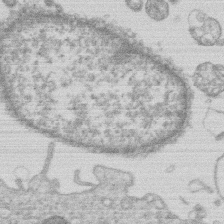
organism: Human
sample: Macrophage cells